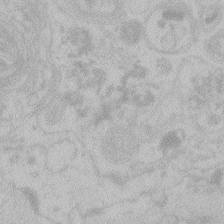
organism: Zebrafish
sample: Macrophage infected with Toxoplasma gondii